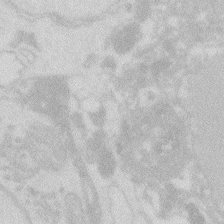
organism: Zebrafish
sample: Macrophage